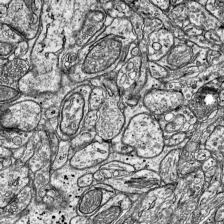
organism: Mouse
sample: Visual Cortex